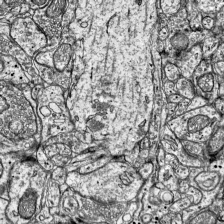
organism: Mouse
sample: Visual Cortex